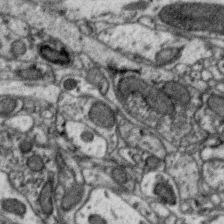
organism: Zebra finch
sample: Brain